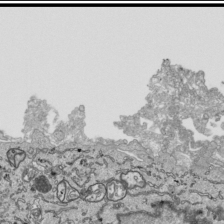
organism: Human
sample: Mitochondria in HCT116 cells